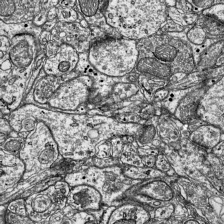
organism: Mouse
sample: Visual Cortex